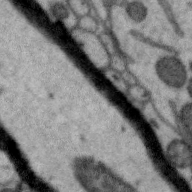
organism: Zebra finch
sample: Brain